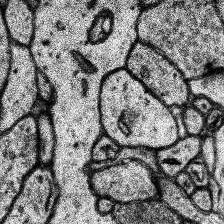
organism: Human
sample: Temporal Lobe